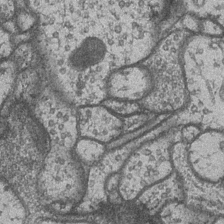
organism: Drosophila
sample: Optic medulla